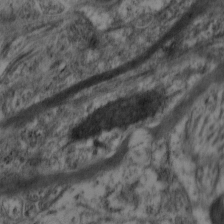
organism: Mouse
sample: Neocortex